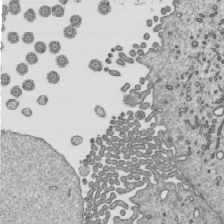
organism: Mouse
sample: Mouse epididymis efferent ductule cilia